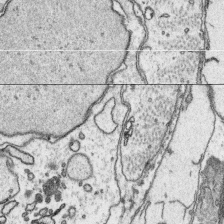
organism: Platynereis dumerilii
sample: Parapodia